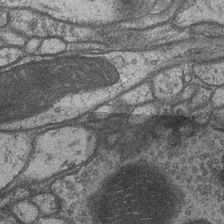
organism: Drosophila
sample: Optic medulla